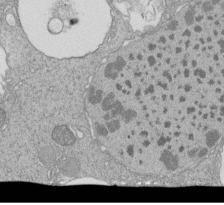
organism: Tetrahymena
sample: Cilia in tetrahymena